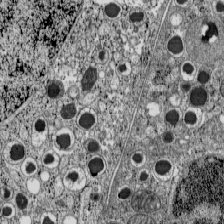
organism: C57BL Mouse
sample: Pancreatic islet